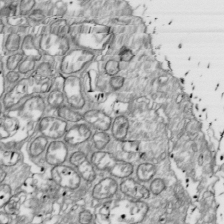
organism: Drosophila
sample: Cell division; meiosis; drosophila spermatocytes